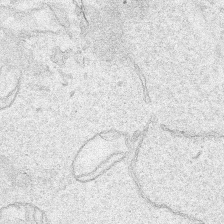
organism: Human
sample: Mitochondria in HCT116 cells